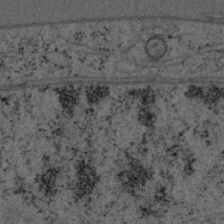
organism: Human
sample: HeLa cells